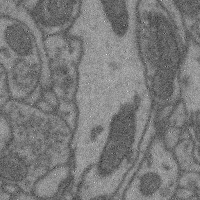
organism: Mouse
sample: Cerebral cortex